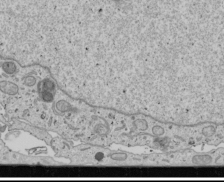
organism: Human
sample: Mitochondria in U2OS cells